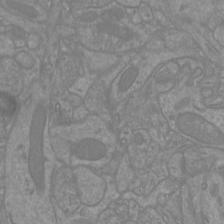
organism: Mouse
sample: Cortical neurons